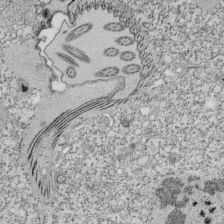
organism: Tetrahymena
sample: Cilia in tetrahymena